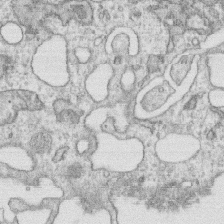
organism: Human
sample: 1205lu cells